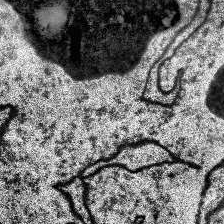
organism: Human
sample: Temporal Lobe